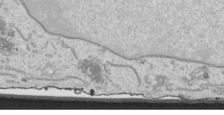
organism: Human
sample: Mitochondria in HCT116 cells